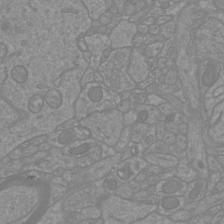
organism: Mouse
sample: Cortical neurons